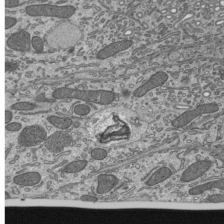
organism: Mouse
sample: Mouse epididymis efferent ductule cilia